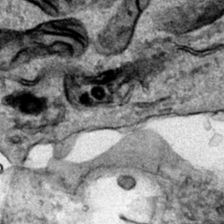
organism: Human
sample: Mitochondria in HCT116 cells